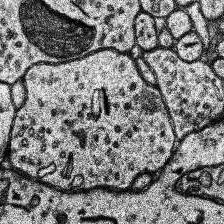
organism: Human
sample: Temporal Lobe